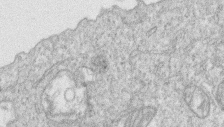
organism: Human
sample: HeLa cell HIV synapse